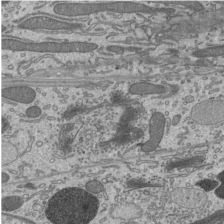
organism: Mouse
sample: Mouse epididymis efferent ductule cilia